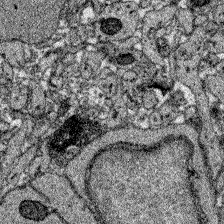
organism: Zebrafish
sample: Larval olfactory bulb